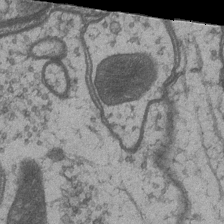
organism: Drosophila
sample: Optic medulla